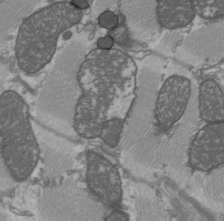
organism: C57BL Mouse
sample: Heart